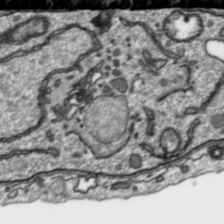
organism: Toxoplasma gondii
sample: Parasites in a vacuole inside a host cell